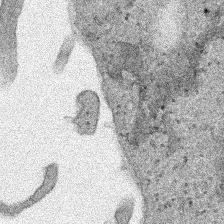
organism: Human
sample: Mitochondria in HCT116 cells